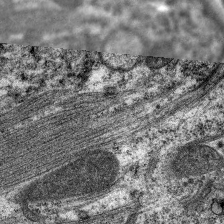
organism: C. elegans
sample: Pharynx